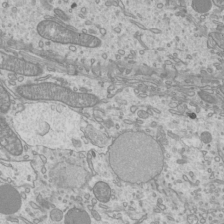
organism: Mouse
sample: Cilia; mouse epididymis